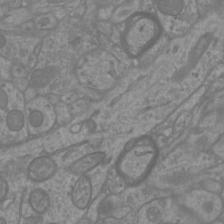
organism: Mouse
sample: Cortical neurons